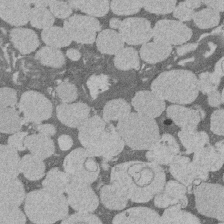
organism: Rat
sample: Salivary granule